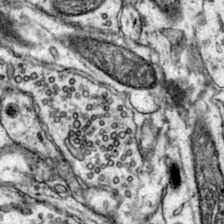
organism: Mouse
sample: Primary visual cortex